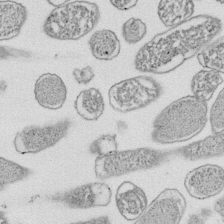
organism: E. coli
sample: Bacterial nucleoid